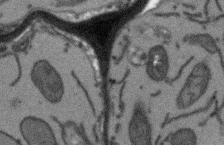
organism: Arabidopsis thaliana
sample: Root tip